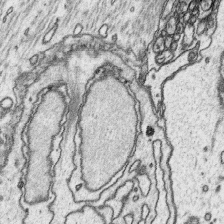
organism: Platynereis dumerilii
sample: Parapodia